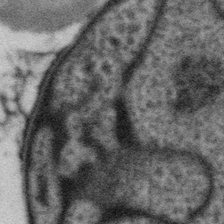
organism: Gemmata obscuriglobus